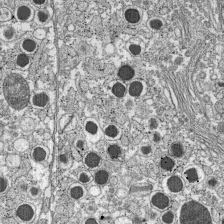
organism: C57BL Mouse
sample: Pancreatic islet